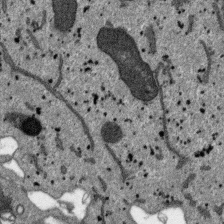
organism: Human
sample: Lung epithelial cells, uninfected (mock) control